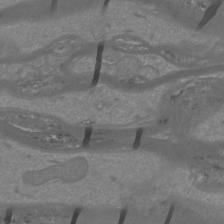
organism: Mouse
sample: Cortical neurons